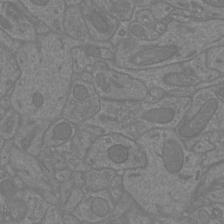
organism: Mouse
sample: Cortical neurons